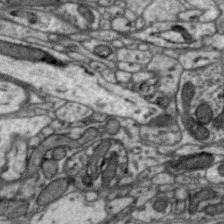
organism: Zebra finch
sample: Brain